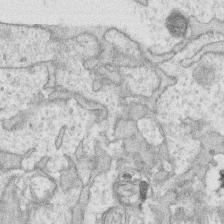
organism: Human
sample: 1205lu cells